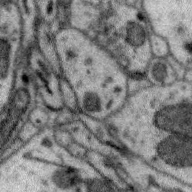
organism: Zebra finch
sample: Brain